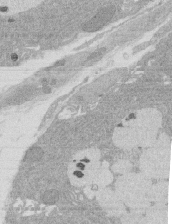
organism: Rat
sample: Salivary granule